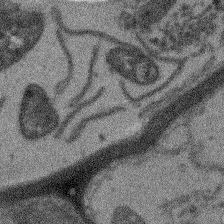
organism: Arabidopsis thaliana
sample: Root tip